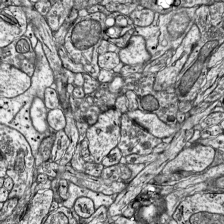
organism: Mouse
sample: Visual Cortex